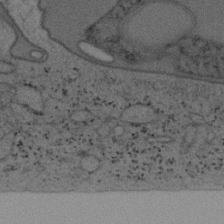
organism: Human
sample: HeLa cells